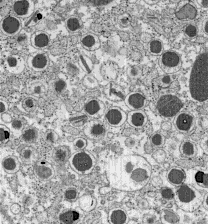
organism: C57BL Mouse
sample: Pancreatic islet